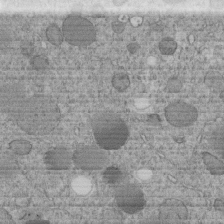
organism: C. elegans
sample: C. elegans embryo early stage